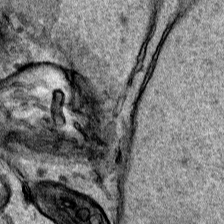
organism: Human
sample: Mitochondria in HCT116 cells